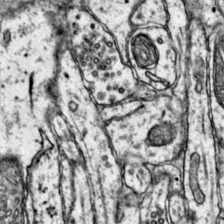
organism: Mouse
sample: Primary visual cortex